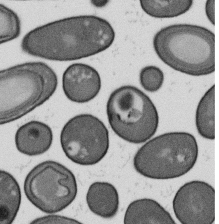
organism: B. subtilis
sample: Bacterial spore